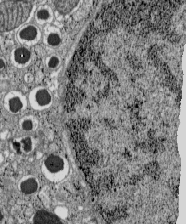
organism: C57BL Mouse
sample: Pancreatic islet